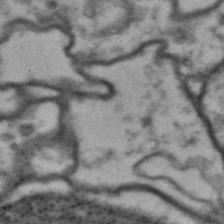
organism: Drosophila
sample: Brain